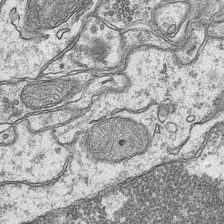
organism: Mouse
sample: CA1 Hippocampus